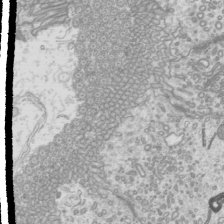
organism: Mouse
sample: Cilia; mouse epididymis